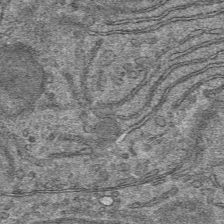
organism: Mouse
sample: Mouse hepatocytes